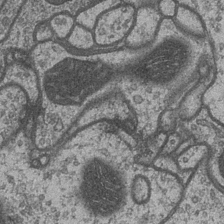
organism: Drosophila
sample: Optic medulla